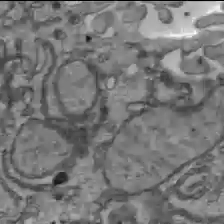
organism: C57BL Mouse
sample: Liver